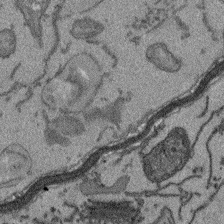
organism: Arabidopsis thaliana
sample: Root tip